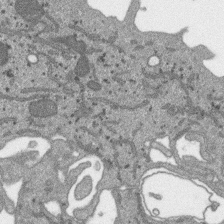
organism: Human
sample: Lung epithelial cells infected with SARS-CoV-2